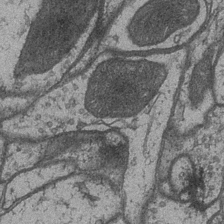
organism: Drosophila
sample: Optic medulla